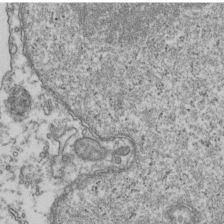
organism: Human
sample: Activated Jurkat CD4+ T cells